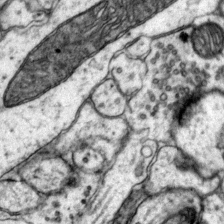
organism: Mouse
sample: Primary visual cortex